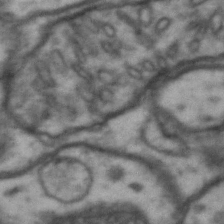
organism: Drosophila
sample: Brain